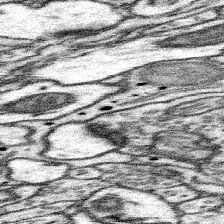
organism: Mouse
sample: Somatosensory cortex neuropil